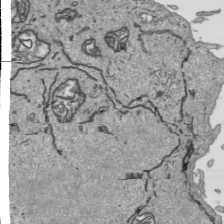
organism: Human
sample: Mitochondria in HCT116 cells